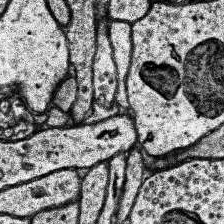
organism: Human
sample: Temporal Lobe